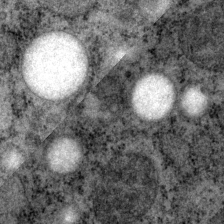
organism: P. pacificus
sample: Pharynx